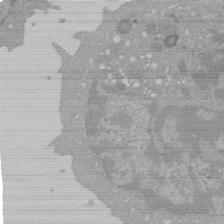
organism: Mouse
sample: Activated Pmel transgenic CD8+ T Cells